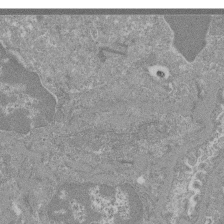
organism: Mouse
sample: Glomerulus